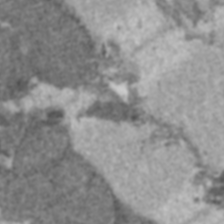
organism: C57BL Mouse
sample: Heart